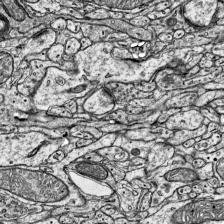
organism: Mouse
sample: Visual Cortex